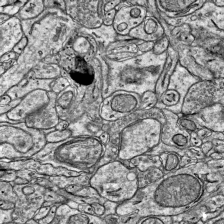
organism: Mouse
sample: Visual Cortex